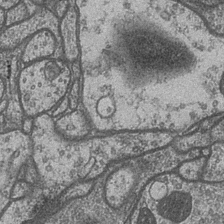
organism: Drosophila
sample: Optic medulla